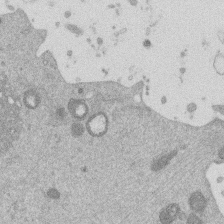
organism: Mouse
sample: Dividing mouse embryo 1 cell stage